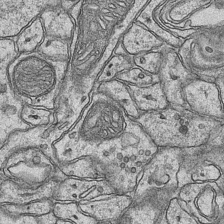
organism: Mouse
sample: CA1 Hippocampus